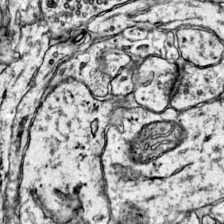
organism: Mouse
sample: Primary visual cortex